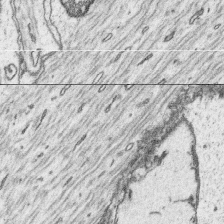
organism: Platynereis dumerilii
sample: Parapodia